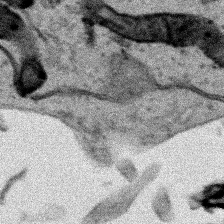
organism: Human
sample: Mitochondria in HCT116 cells